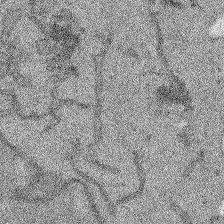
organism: Human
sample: HeLa cells